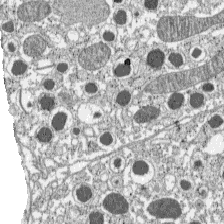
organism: C57BL Mouse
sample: Pancreatic islet